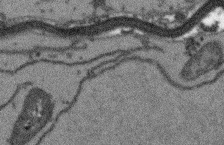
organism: Arabidopsis thaliana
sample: Root tip